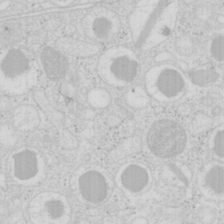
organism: Mouse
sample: Pancreas